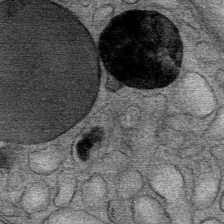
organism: Mouse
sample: Mouse Salivary gland